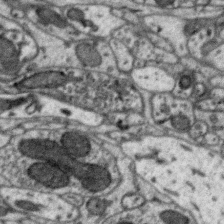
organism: Zebra finch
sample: Brain